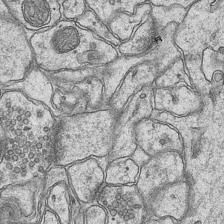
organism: Mouse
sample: CA1 Hippocampus